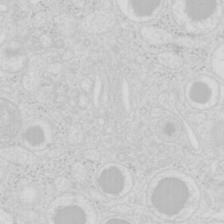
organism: Mouse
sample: Pancreas